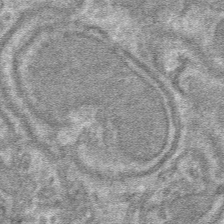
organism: Mouse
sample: Mouse hepatocytes